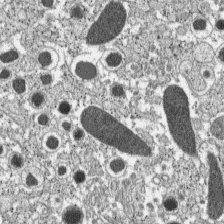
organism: C57BL Mouse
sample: Pancreatic islet